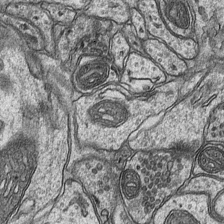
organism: Mouse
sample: CA1 Hippocampus